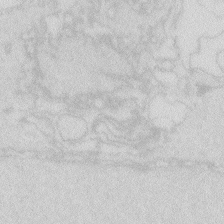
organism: Zebrafish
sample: Macrophage